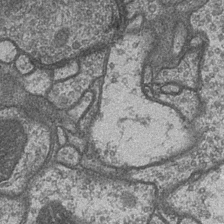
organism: Drosophila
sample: Optic medulla